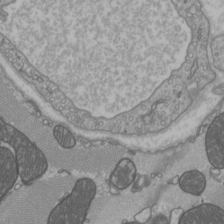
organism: C57BL Mouse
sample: Heart